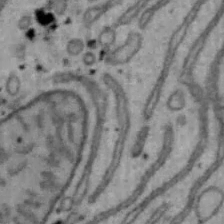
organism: Mouse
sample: Liver